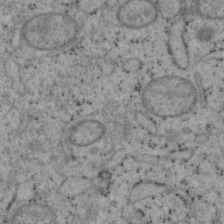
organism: Human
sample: HeLa cells